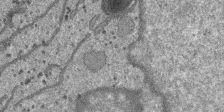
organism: Human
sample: Lung epithelial cells infected with SARS-CoV-2